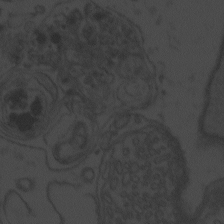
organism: Zebrafish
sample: Macrophage infected with Toxoplasma gondii